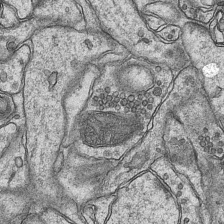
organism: Mouse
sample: CA1 Hippocampus